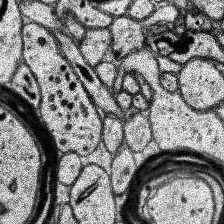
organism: Human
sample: Temporal Lobe